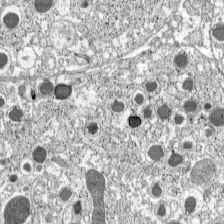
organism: C57BL Mouse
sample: Pancreatic islet